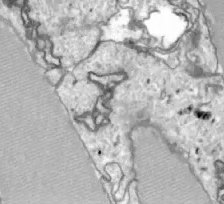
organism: Zebrafish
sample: Actinotrichia fibers